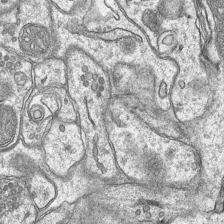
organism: Mouse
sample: CA1 Hippocampus